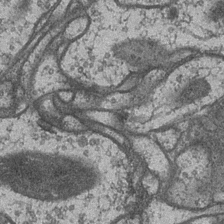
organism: Drosophila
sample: Optic medulla